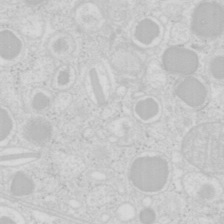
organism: Mouse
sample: Pancreas